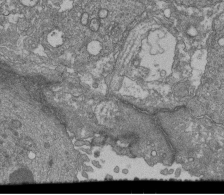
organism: Human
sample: Retinal organoid Rod and Cone cells